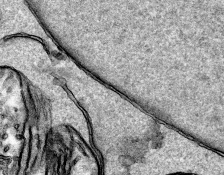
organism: Human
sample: Mitochondria in HCT116 cells